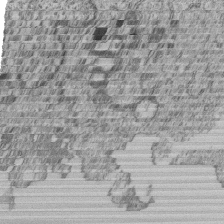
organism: Human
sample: MDA-MB-231 cells